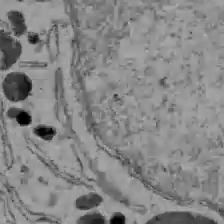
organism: C57BL Mouse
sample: Liver